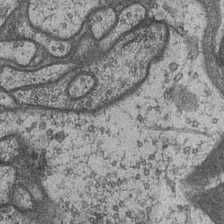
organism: Drosophila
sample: Optic medulla